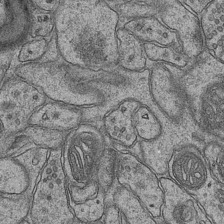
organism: Mouse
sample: CA1 Hippocampus